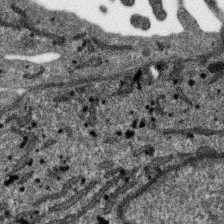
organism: Human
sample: Lung epithelial cells infected with SARS-CoV-2